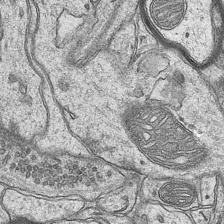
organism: Mouse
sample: CA1 Hippocampus